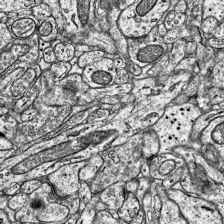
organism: Mouse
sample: Visual Cortex